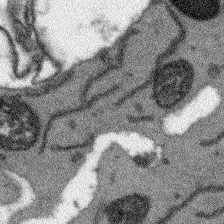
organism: Arabidopsis thaliana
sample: Root tip